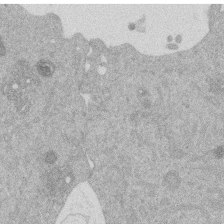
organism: Mouse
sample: Dividing mouse embryo 1 cell stage